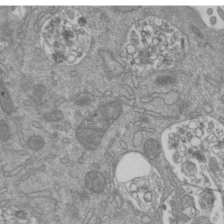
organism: Mouse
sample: ED-1 cell nuclei; centrioles